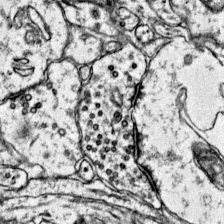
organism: Mouse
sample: Primary visual cortex